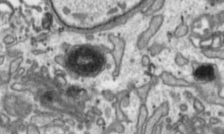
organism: Toxoplasma gondii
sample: Parasites in a vacuole inside a host cell